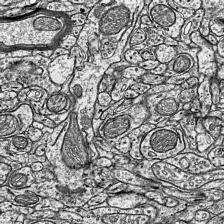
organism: Mouse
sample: Visual Cortex